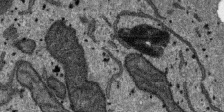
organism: Human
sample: Lung epithelial cells, uninfected (mock) control